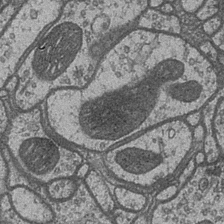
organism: Drosophila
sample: Optic medulla